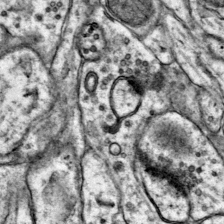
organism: Mouse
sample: Primary visual cortex